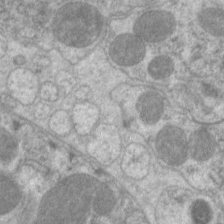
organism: C. elegans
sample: Pharynx